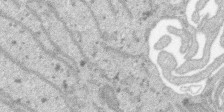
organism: Human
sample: Lung epithelial cells infected with SARS-CoV-2